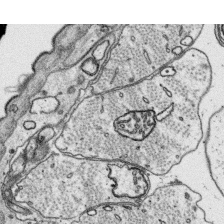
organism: Platynereis dumerilii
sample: Parapodia